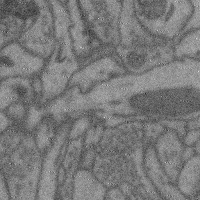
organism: Mouse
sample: Cerebral cortex